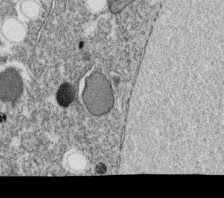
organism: C. elegans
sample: C. elegans oocyte; sperm cells